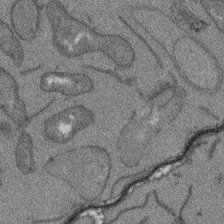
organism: Arabidopsis thaliana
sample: Root tip